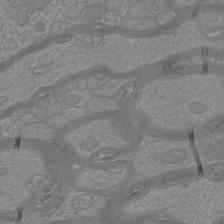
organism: Mouse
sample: Cortical neurons